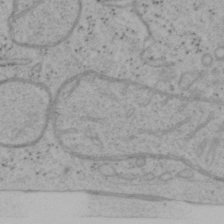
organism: Human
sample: HeLa cells